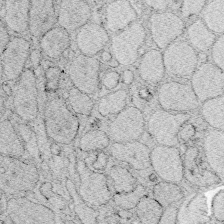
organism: Zebrafish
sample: Whole-Brain